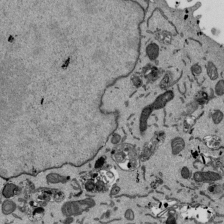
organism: Mouse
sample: ED-1 cell nuclei; centrioles